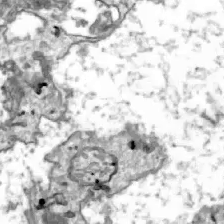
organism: Zebrafish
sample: Actinotrichia fibers